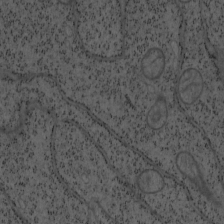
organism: Mouse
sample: OT-I killer T cells with ID8 ovarian cancer cells